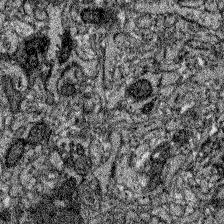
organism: Zebrafish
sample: Larval olfactory bulb